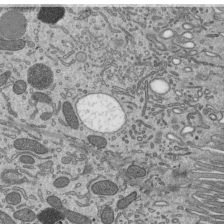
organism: Mouse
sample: Mouse epididymis efferent ductule cilia